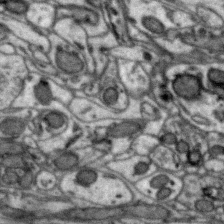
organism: Zebra finch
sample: Brain